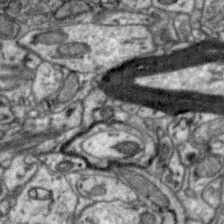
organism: Zebra finch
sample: Brain